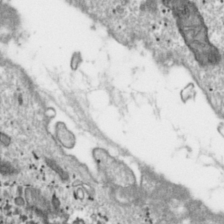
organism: Toxoplasma gondii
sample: Parasites in a vacuole inside a host cell